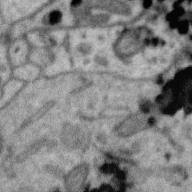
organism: Zebra finch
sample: Brain